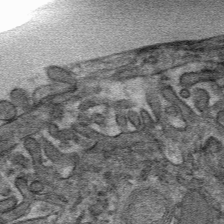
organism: Mouse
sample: Mouse hepatocytes